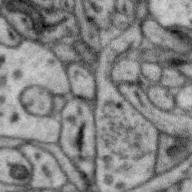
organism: Zebra finch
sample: Brain